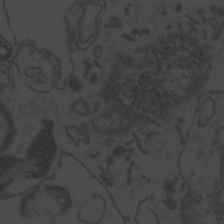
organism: Zebrafish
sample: Macrophage infected with Toxoplasma gondii